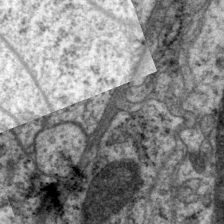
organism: P. pacificus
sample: Pharynx